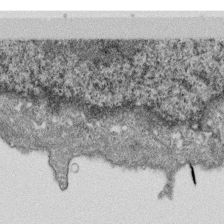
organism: African green monkey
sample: Vero E6 cells infected with SARS-CoV-2